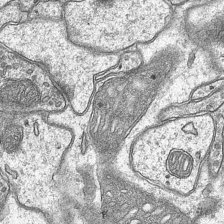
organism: Mouse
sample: CA1 Hippocampus